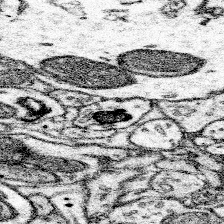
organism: Mouse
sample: Somatosensory cortex neuropil